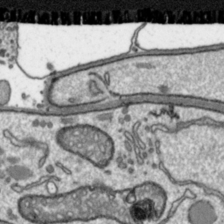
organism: Toxoplasma gondii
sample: Parasites in a vacuole inside a host cell